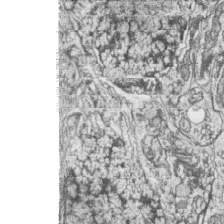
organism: Zebrafish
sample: synaptic ribbons in rod cells and cone cells